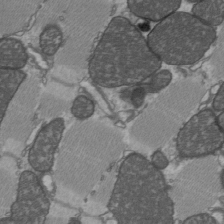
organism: C57BL Mouse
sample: Heart